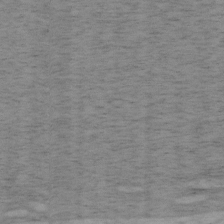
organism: Mouse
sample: OT-I killer T cells with ID8 ovarian cancer cells